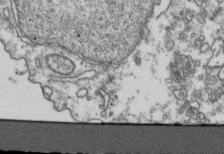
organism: Human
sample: Activated Jurkat CD4+ T cells